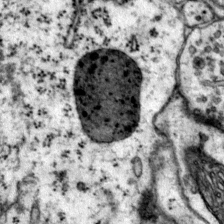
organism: Mouse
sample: Primary visual cortex